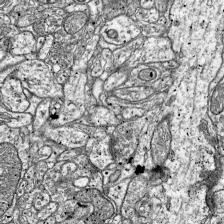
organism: Mouse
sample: Visual Cortex